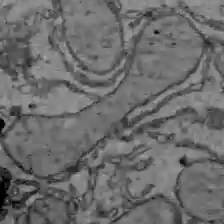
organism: C57BL Mouse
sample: Liver